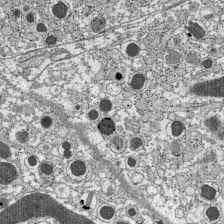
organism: C57BL Mouse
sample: Pancreatic islet